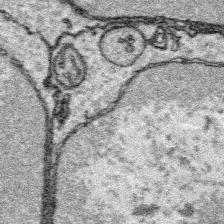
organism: Platynereis dumerilii